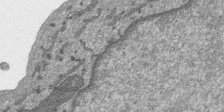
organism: Human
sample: Lung epithelial cells infected with SARS-CoV-2